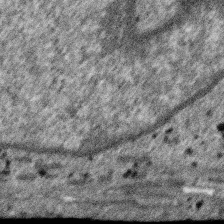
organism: Human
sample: Lung epithelial cells infected with SARS-CoV-2